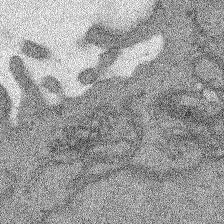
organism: Human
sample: HeLa cells